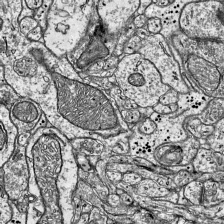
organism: Mouse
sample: Visual Cortex